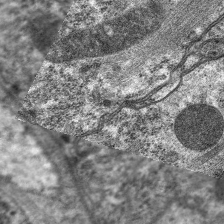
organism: C. elegans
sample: Pharynx